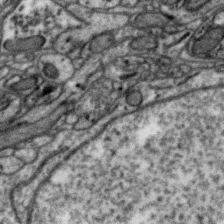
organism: Zebra finch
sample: Brain